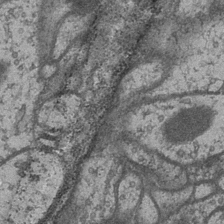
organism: Drosophila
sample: Optic medulla